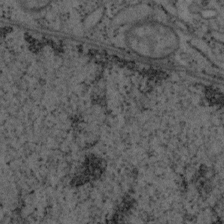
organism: Human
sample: HeLa cells